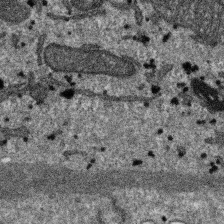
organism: Human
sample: Lung epithelial cells infected with SARS-CoV-2